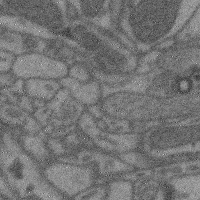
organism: Mouse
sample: Cerebral cortex